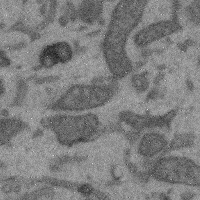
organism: Mouse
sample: Cerebral cortex